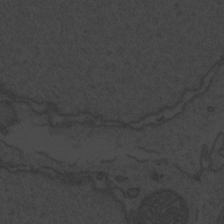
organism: Zebrafish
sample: Macrophage infected with Toxoplasma gondii